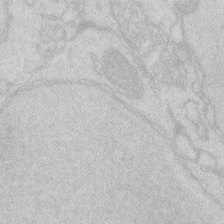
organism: Zebrafish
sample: Macrophage